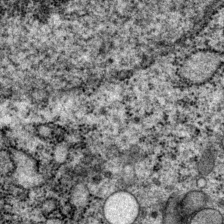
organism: P. pacificus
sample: Pharynx